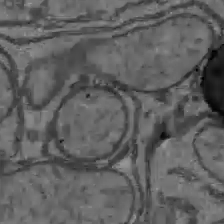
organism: C57BL Mouse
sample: Liver